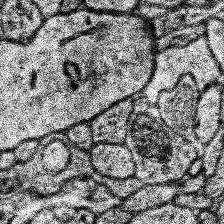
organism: Human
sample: Temporal Lobe